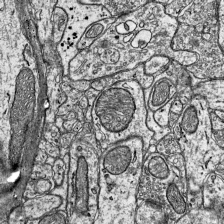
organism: Mouse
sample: Visual Cortex